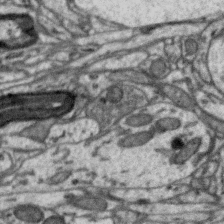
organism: Zebra finch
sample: Brain